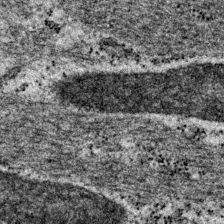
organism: P. pacificus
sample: Pharynx